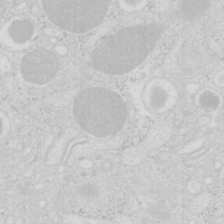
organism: Mouse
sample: Pancreas